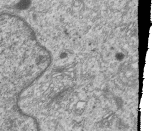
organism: Human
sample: MDA-MB-231 cells